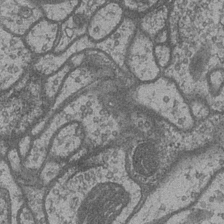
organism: Drosophila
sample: Optic medulla